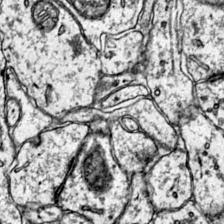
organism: Mouse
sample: Primary visual cortex